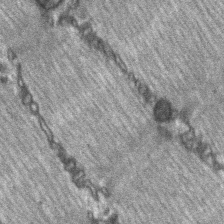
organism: C57BL Mouse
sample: Soleus